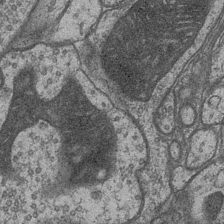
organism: Drosophila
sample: Optic medulla